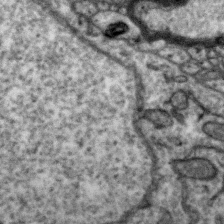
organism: Zebra finch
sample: Brain